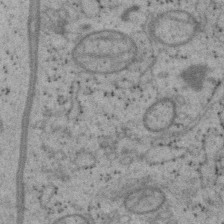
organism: Human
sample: HeLa cells